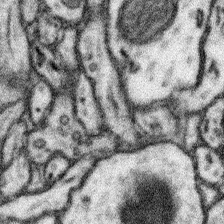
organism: Mouse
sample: Somatosensory cortex neuropil